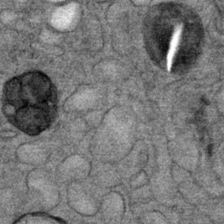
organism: Mouse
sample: Mouse Salivary gland